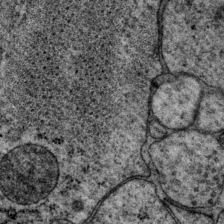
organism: P. pacificus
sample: Pharynx